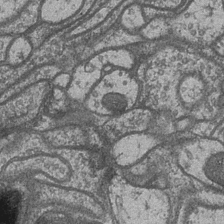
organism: Drosophila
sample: Optic medulla